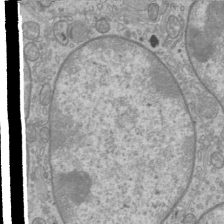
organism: Mouse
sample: Cilia; mouse epididymis